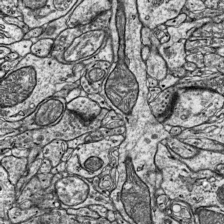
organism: Mouse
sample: Visual Cortex